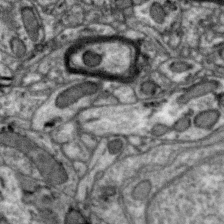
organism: Zebra finch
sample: Brain